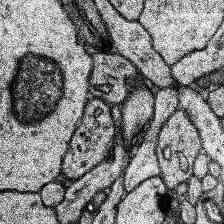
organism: Human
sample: Temporal Lobe